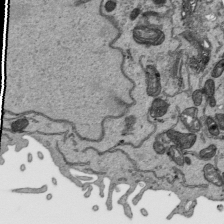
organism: Human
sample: Mitochondria in HCT116 cells